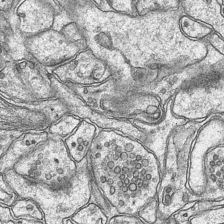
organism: Mouse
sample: CA1 Hippocampus